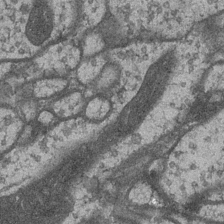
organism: Drosophila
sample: Optic medulla